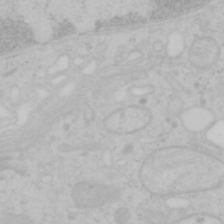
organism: Mouse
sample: OT-I killer T cells with ID8 ovarian cancer cells